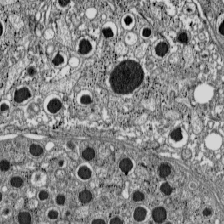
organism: C57BL Mouse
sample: Pancreatic islet